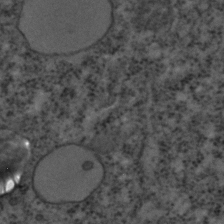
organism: C. elegans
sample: C. elegans embryo